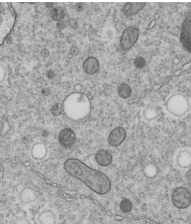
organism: C. elegans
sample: C. elegans embryo early stage